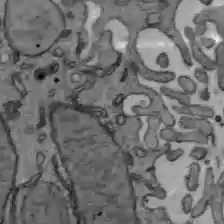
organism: C57BL Mouse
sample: Liver